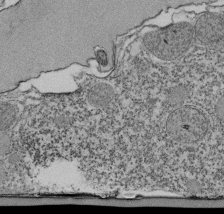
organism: Tetrahymena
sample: Cilia in tetrahymena